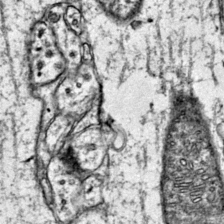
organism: Mouse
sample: Primary visual cortex